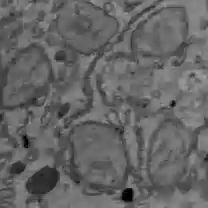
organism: C57BL Mouse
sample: Liver